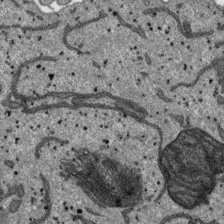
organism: Human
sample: Lung epithelial cells, uninfected (mock) control